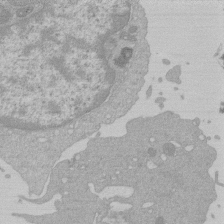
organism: Mouse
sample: Activated Pmel transgenic CD8+ T Cells